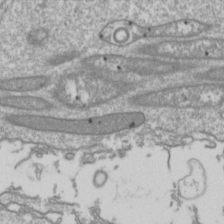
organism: Drosophila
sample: Cell division; meiosis; drosophila spermatocytes